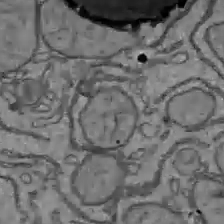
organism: C57BL Mouse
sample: Liver